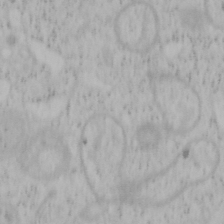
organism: Mouse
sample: OT-I killer T cells with ID8 ovarian cancer cells